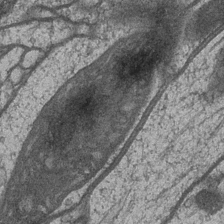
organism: Drosophila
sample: Optic medulla